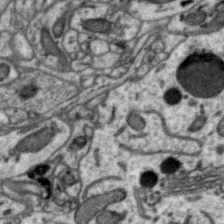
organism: Zebra finch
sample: Brain